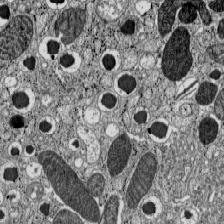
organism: C57BL Mouse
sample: Pancreatic islet